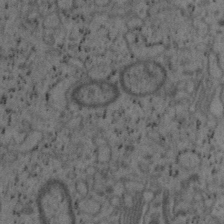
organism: Human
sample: HeLa cells